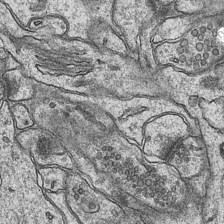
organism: Mouse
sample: CA1 Hippocampus